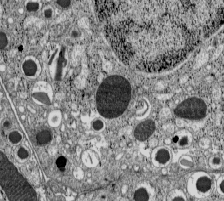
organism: C57BL Mouse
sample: Pancreatic islet